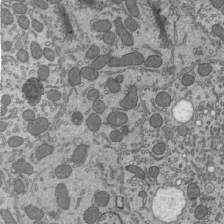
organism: Mouse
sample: Mouse epididymis efferent ductule cilia